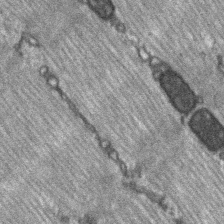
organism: C57BL Mouse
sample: Soleus